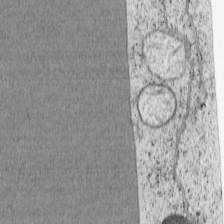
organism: African green monkey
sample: COS-7 cells